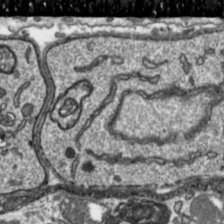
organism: Toxoplasma gondii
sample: Parasites in a vacuole inside a host cell